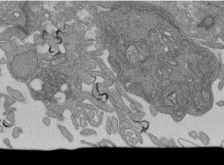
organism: Human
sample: Retinal organoid Rod and Cone cells